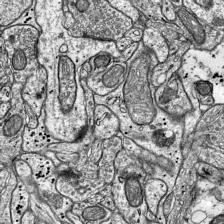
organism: Mouse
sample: Visual Cortex